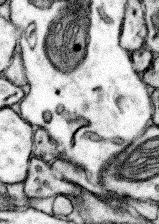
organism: Mouse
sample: Somatosensory cortex neuropil